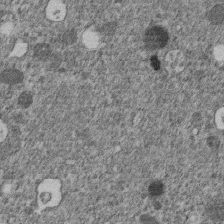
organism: C. elegans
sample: C. elegans embryo early stage